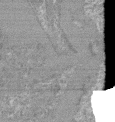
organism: Mouse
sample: Glomerulus